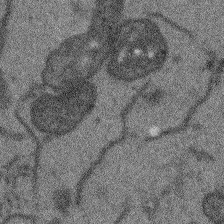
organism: Arabidopsis thaliana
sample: Root tip